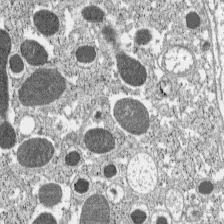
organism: C57BL Mouse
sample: Pancreatic islet